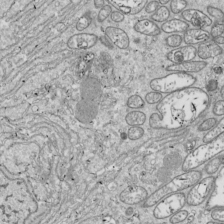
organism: Drosophila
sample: Cell division; meiosis; drosophila spermatocytes